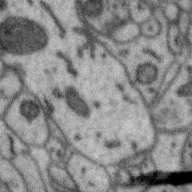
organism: Zebra finch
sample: Brain